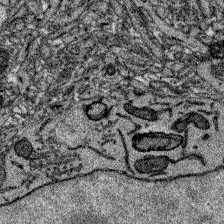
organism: Zebrafish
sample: Larval olfactory bulb